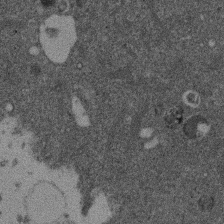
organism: Mouse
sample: Dividing mouse embryo 1 cell stage